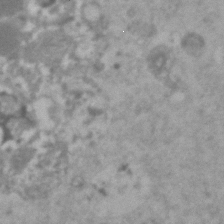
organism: Human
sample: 1205lu cells